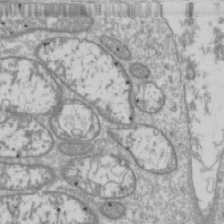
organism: Drosophila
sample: Cell division; meiosis; drosophila spermatocytes